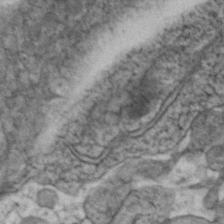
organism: Zebrafish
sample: Zebrafish embryo